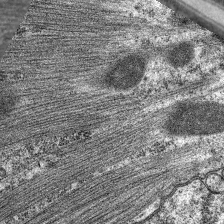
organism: C. elegans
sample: Pharynx